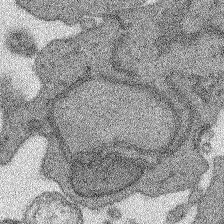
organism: Human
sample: HeLa cells